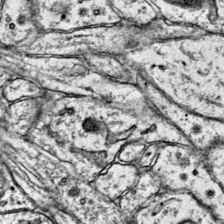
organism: Mouse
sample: Primary visual cortex